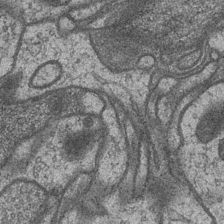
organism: Drosophila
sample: Optic medulla